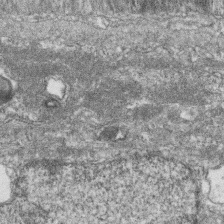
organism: Zebrafish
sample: Cilia; retinal pigment epithelium